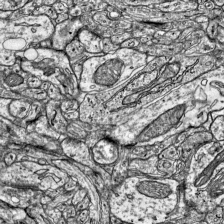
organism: Mouse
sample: Visual Cortex